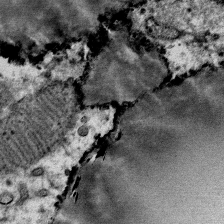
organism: Mouse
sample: Mouse Salivary gland